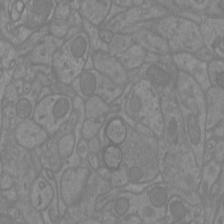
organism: Mouse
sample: Cortical neurons